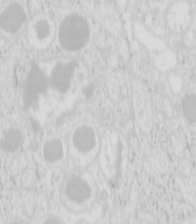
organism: Mouse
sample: Pancreas